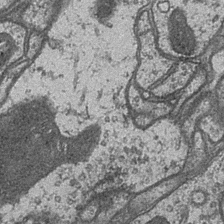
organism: Drosophila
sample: Optic medulla